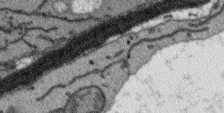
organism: Arabidopsis thaliana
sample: Root tip